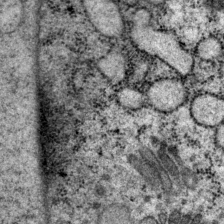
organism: P. pacificus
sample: Pharynx